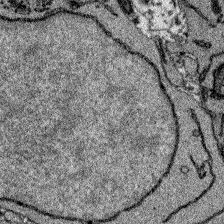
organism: Zebrafish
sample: Larval olfactory bulb